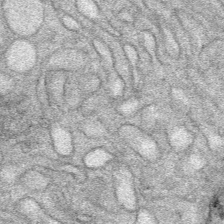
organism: Mouse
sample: Mouse Salivary gland